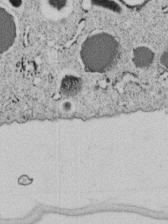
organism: C. elegans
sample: C. elegans embryo early stage